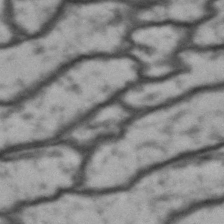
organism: Drosophila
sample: Brain